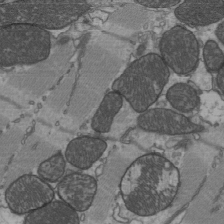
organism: C57BL Mouse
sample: Heart